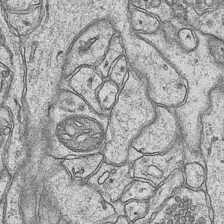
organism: Mouse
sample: CA1 Hippocampus